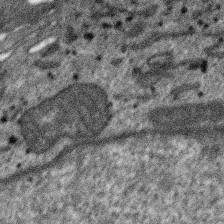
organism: Human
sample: Lung epithelial cells infected with SARS-CoV-2